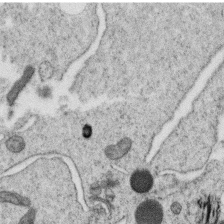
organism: C. elegans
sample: C. elegans oocyte; sperm cells